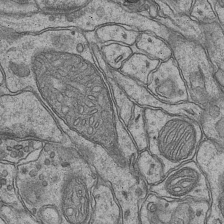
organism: Mouse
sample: CA1 Hippocampus